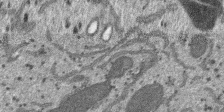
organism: Human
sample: Lung epithelial cells infected with SARS-CoV-2